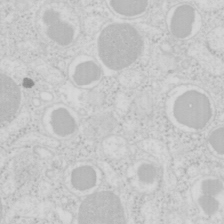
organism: Mouse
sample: Pancreas